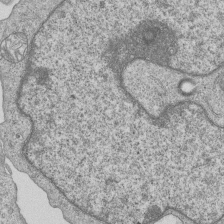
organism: Human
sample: MDA-MB-231 cells